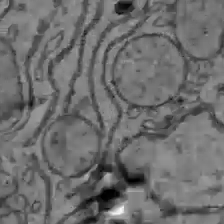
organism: C57BL Mouse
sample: Liver